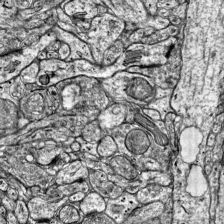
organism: Mouse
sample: Visual Cortex